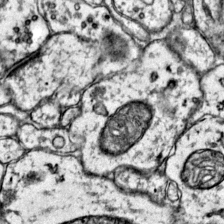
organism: Mouse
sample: Primary visual cortex